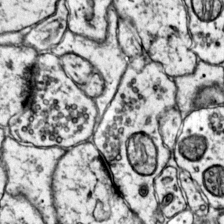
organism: Mouse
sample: Primary visual cortex